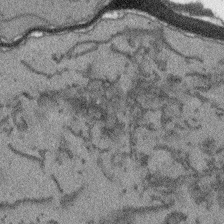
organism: Arabidopsis thaliana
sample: Root tip